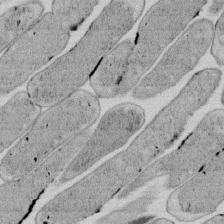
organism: E. coli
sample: Bacterial nucleoid